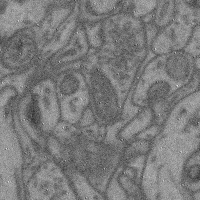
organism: Mouse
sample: Cerebral cortex